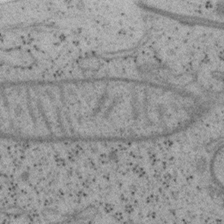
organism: Human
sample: HeLa cells